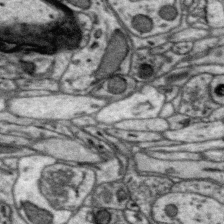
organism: Zebra finch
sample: Brain